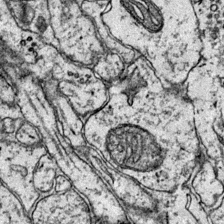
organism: Mouse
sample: Primary visual cortex